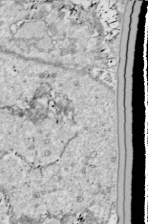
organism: Drosophila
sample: Cell division; meiosis; drosophila spermatocytes